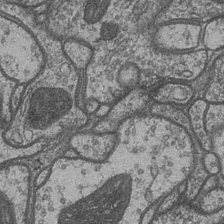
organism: Drosophila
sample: Optic medulla